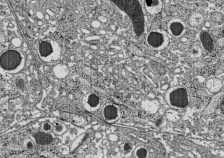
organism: C57BL Mouse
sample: Pancreatic islet